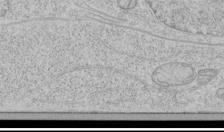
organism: Human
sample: Mitochondria in HCT116 cells